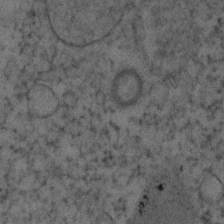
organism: Human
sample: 1205lu cells